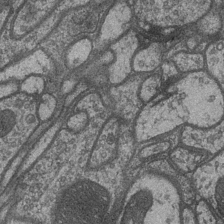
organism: Drosophila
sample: Optic medulla